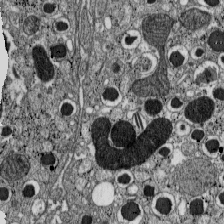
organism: C57BL Mouse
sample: Pancreatic islet